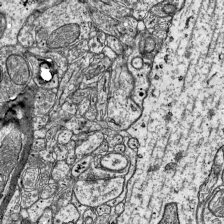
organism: Mouse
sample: Visual Cortex